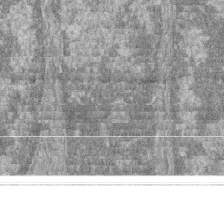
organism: Zebrafish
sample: Cilia; retinal pigment epithelium